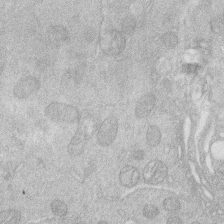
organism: Human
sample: Macrophage cells